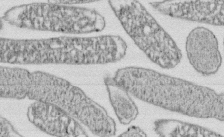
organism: E. coli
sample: Bacterial nucleoid